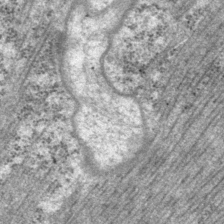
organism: P. pacificus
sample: Pharynx